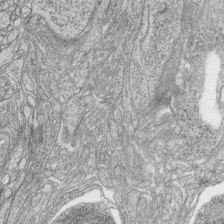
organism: Zebrafish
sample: synaptic ribbons in rod cells and cone cells